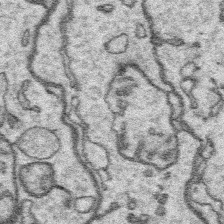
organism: Platynereis dumerilii